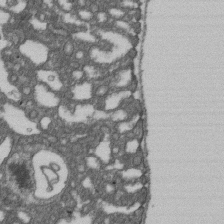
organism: Drosophila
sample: Nephrocyte